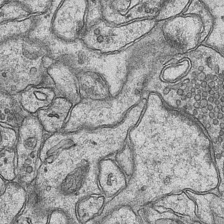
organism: Mouse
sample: CA1 Hippocampus